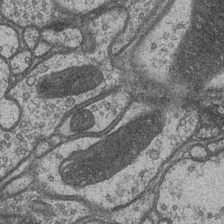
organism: Drosophila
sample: Optic medulla